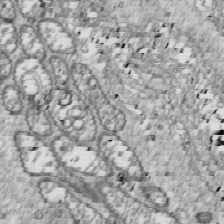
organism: Drosophila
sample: Cell division; meiosis; drosophila spermatocytes